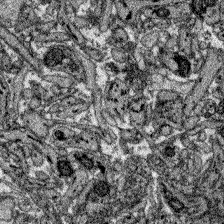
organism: Zebrafish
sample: Larval olfactory bulb